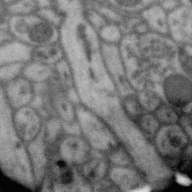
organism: Zebra finch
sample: Brain